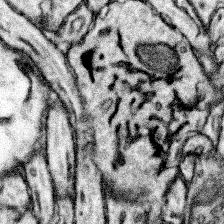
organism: Mouse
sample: Somatosensory cortex neuropil